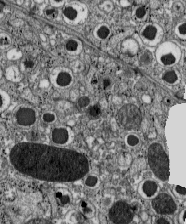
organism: C57BL Mouse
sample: Pancreatic islet